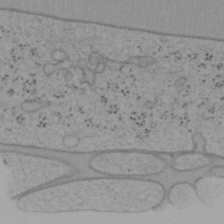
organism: Human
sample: HeLa cells